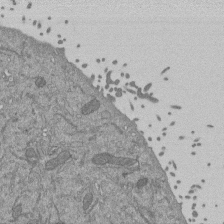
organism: Mouse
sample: ED-1 cell nuclei; centrioles